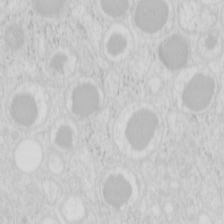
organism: Mouse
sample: Pancreas